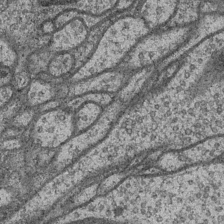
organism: Drosophila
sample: Optic medulla